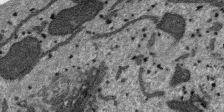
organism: Human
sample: Lung epithelial cells, uninfected (mock) control